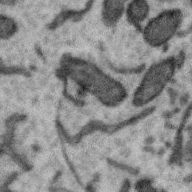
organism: Zebra finch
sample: Brain